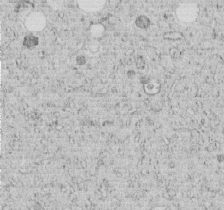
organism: C. elegans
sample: C. elegans embryo early stage